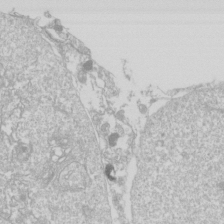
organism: Drosophila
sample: Cell division; meiosis; drosophila spermatocytes